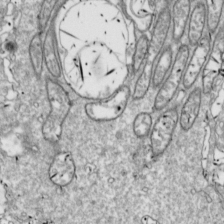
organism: Drosophila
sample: Cell division; meiosis; drosophila spermatocytes